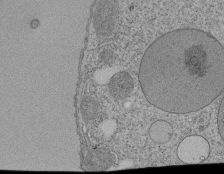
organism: Tetrahymena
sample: Cilia in tetrahymena